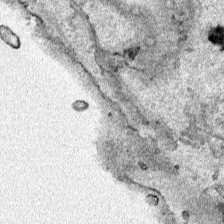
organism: Human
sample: Mitochondria in HCT116 cells